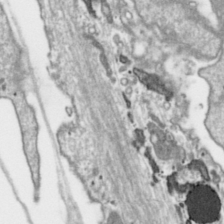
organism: Toxoplasma gondii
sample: Parasites in a vacuole inside a host cell